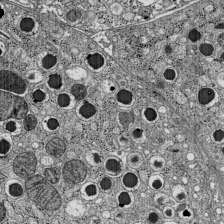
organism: C57BL Mouse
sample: Pancreatic islet